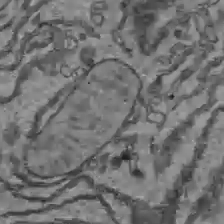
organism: C57BL Mouse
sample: Liver